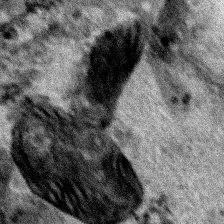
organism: Human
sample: Mitochondria in HCT116 cells